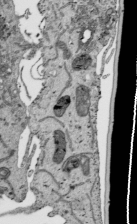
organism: Human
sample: Mitochondria in HCT116 cells